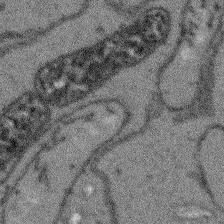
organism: Arabidopsis thaliana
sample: Root tip